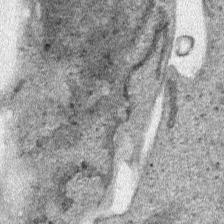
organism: Human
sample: Mitochondria in HCT116 cells